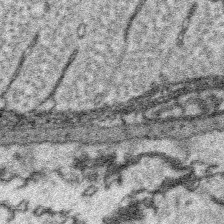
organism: Platynereis dumerilii